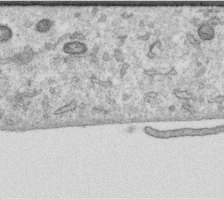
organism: Human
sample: Centriole in RPE cells